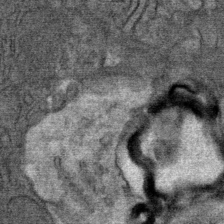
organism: Mouse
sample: Mouse Salivary gland